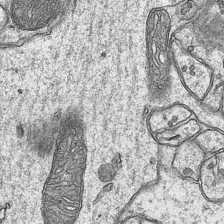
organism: Mouse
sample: CA1 Hippocampus